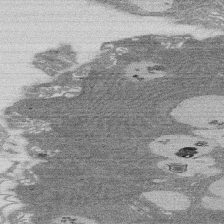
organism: Rat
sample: Salivary granule